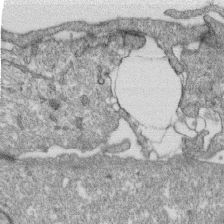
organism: African green monkey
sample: Vero E6 cells infected with SARS-CoV-2